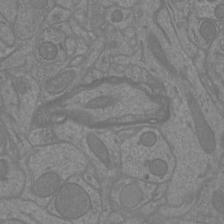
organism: Mouse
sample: Cortical neurons